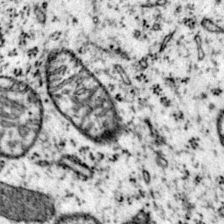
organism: Mouse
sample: Primary visual cortex